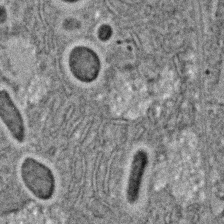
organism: C. elegans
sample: C. elegans embryo